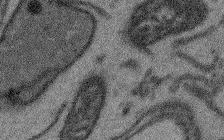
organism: Arabidopsis thaliana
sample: Root tip